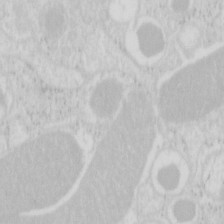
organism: Mouse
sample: Pancreas